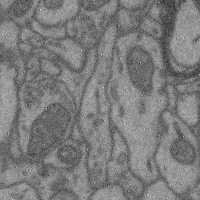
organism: Mouse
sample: Cerebral cortex